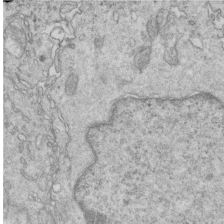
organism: Mouse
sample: Multiciliated cells